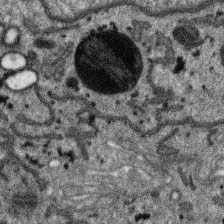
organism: Human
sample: Lung epithelial cells infected with SARS-CoV-2